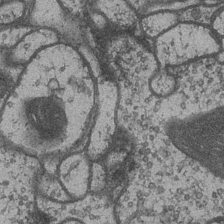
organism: Drosophila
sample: Optic medulla